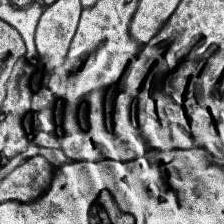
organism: Human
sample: Temporal Lobe